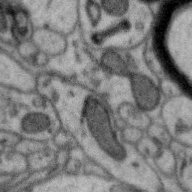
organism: Zebra finch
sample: Brain